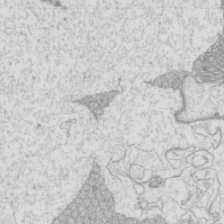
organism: Mouse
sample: Cilia; mouse epididymis